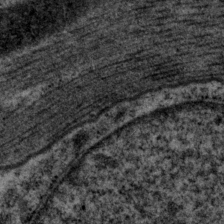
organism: P. pacificus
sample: Pharynx